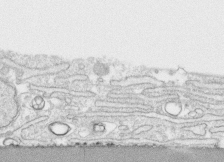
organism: Human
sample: CRL-1474